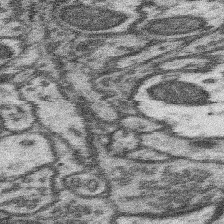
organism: Mouse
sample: Somatosensory cortex neuropil